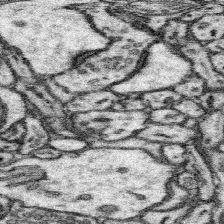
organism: Mouse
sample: Somatosensory cortex neuropil